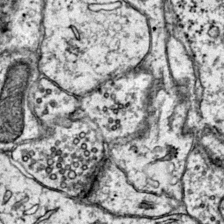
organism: Mouse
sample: Primary visual cortex